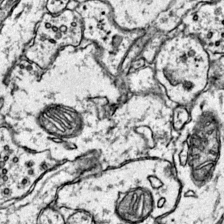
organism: Mouse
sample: Primary visual cortex